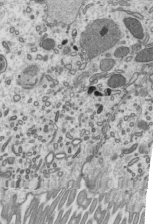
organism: Mouse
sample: Mouse epididymis efferent ductule cilia